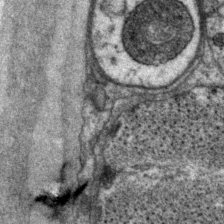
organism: P. pacificus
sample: Pharynx